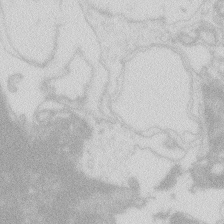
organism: Zebrafish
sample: Macrophage